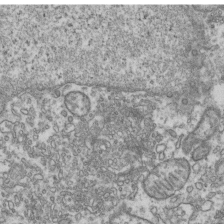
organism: Human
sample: Activated Jurkat CD4+ T cells